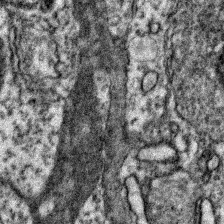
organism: Zebrafish